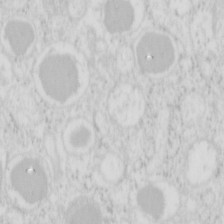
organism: Mouse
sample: Pancreas